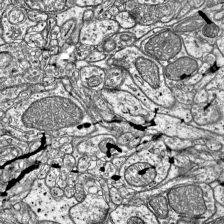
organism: Mouse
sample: Visual Cortex